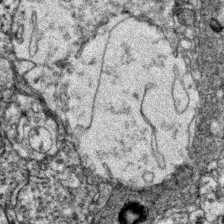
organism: Zebrafish